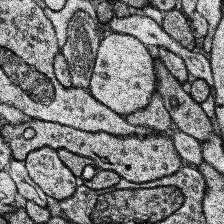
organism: Human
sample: Temporal Lobe